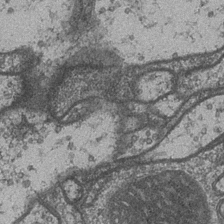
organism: Drosophila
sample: Optic medulla